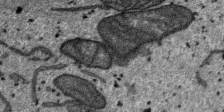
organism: Human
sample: Lung epithelial cells, uninfected (mock) control